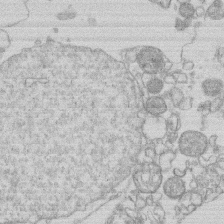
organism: Human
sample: Macrophage cells